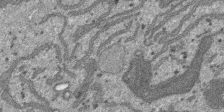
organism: Human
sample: Lung epithelial cells infected with SARS-CoV-2